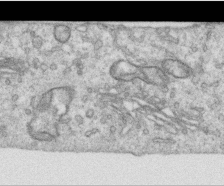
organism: Human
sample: Centriole in RPE cells